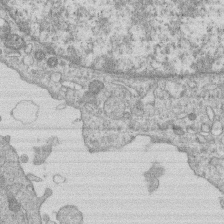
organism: Human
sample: Macrophage cells